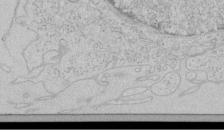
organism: Human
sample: Mitochondria in HCT116 cells